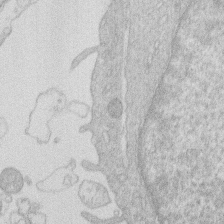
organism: Human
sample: Macrophage cells